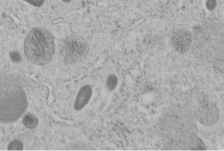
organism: C. elegans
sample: C. elegans embryo early stage